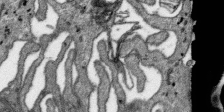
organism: Human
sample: Lung epithelial cells, uninfected (mock) control